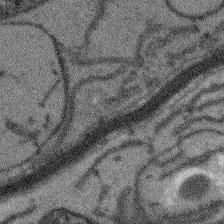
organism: Arabidopsis thaliana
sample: Root tip